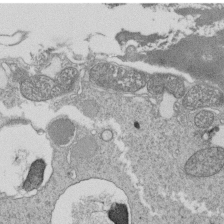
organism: Tetrahymena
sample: Cilia in tetrahymena